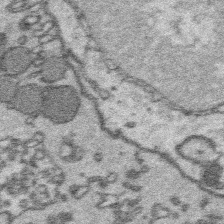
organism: Platynereis dumerilii